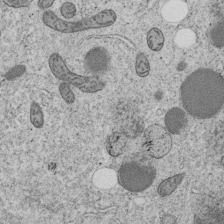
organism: C. elegans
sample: C. elegans embryo early stage